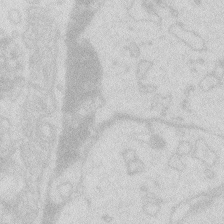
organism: Zebrafish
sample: Macrophage